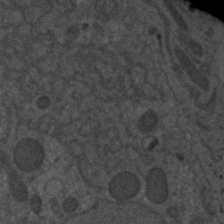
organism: C. elegans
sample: C. elegans embryo